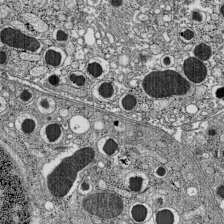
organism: C57BL Mouse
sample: Pancreatic islet